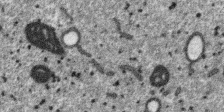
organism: Human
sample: Lung epithelial cells infected with SARS-CoV-2